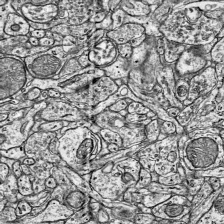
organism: Mouse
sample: Visual Cortex